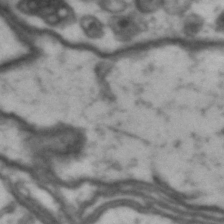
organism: Drosophila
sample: Brain